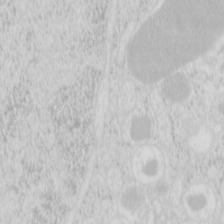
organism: Mouse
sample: Pancreas